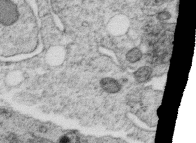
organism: C. elegans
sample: C. elegans oocyte; sperm cells